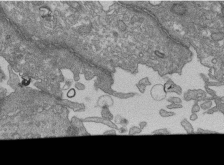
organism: Human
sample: Retinal organoid Rod and Cone cells